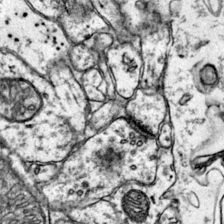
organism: Mouse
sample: Primary visual cortex